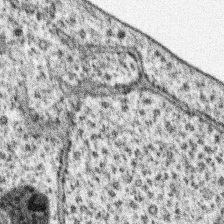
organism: Human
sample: HeLa cells